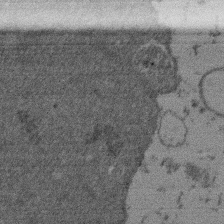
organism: Mouse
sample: Dividing mouse embryo 1 cell stage